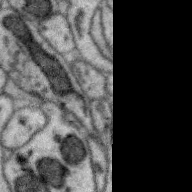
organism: Zebra finch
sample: Brain